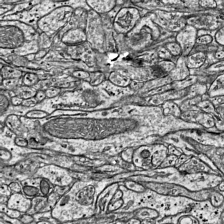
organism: Mouse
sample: Visual Cortex